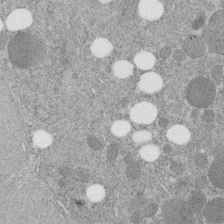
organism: C. elegans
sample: C. elegans embryo early stage